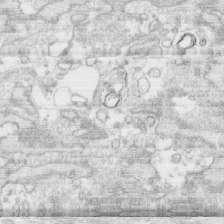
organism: Human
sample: CRL-1474